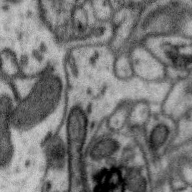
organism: Zebra finch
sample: Brain